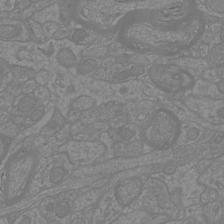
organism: Mouse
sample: Cortical neurons